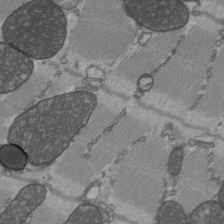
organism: C57BL Mouse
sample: Heart